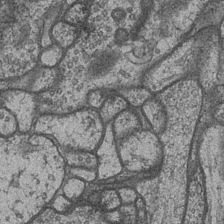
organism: Drosophila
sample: Optic medulla